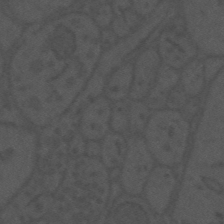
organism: Mouse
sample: Suprachiasmatic nucleus